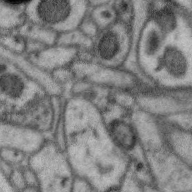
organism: Zebra finch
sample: Brain